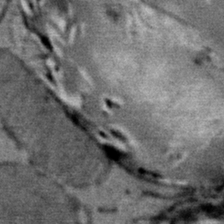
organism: Mouse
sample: Mouse Salivary gland